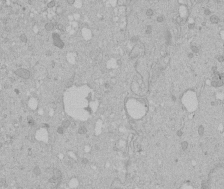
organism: Human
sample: Melanocyte Keratinocyte synapse skin construct